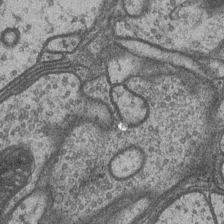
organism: Drosophila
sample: Optic medulla